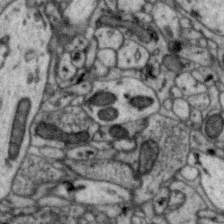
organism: Zebra finch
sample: Brain